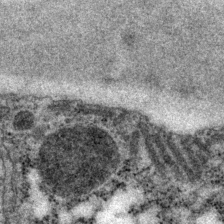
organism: P. pacificus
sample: Pharynx